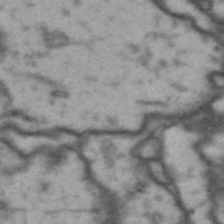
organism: Drosophila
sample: Brain